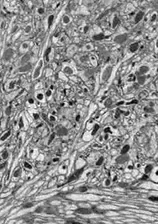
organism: Drosophila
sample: Optic lobe